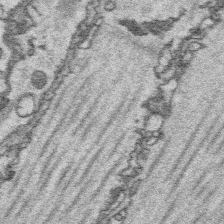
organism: Platynereis dumerilii